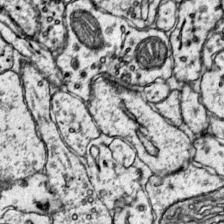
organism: Mouse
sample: Primary visual cortex